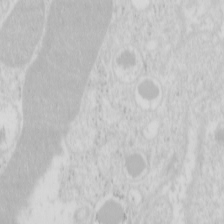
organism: Mouse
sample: Pancreas